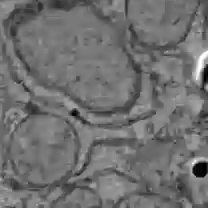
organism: C57BL Mouse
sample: Liver